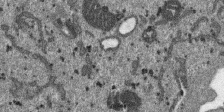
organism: Human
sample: Lung epithelial cells infected with SARS-CoV-2